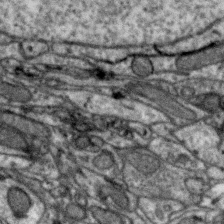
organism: Zebra finch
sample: Brain